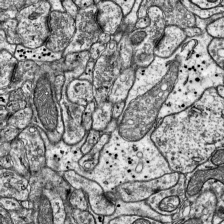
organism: Mouse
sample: Visual Cortex